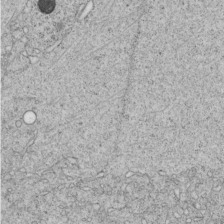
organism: C. elegans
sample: C. elegans embryo early stage